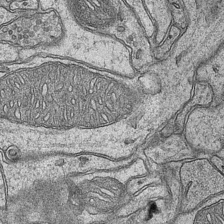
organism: Mouse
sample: CA1 Hippocampus